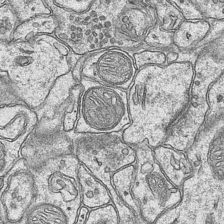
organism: Mouse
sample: CA1 Hippocampus